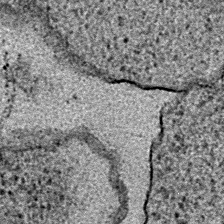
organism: E. coli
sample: E. Coli Bacteria